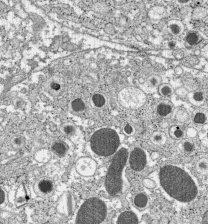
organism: C57BL Mouse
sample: Pancreatic islet